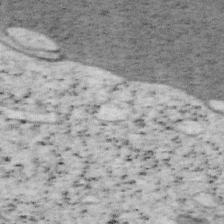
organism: Mouse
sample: OT-I killer T cells with ID8 ovarian cancer cells